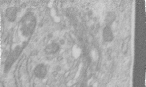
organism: Human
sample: Centriole in RPE cells